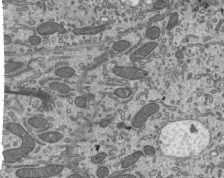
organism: Mouse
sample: Mouse epididymis efferent ductule cilia